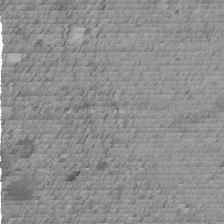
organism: C. elegans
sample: C. elegans embryo early stage